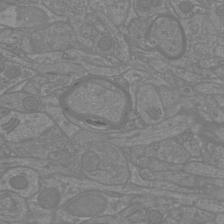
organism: Mouse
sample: Cortical neurons